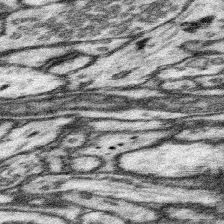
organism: Mouse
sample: Somatosensory cortex neuropil